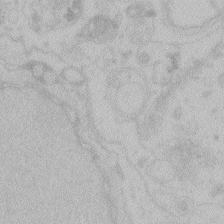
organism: Zebrafish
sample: Macrophage infected with Toxoplasma gondii